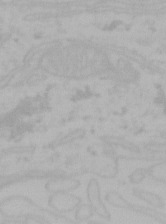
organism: Mouse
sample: Choroid plexus